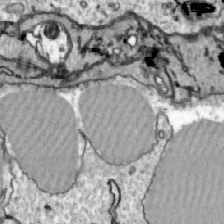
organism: Zebrafish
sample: Actinotrichia fibers